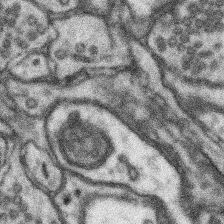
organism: Mouse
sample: Somatosensory cortex neuropil